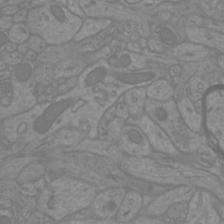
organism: Mouse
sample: Cortical neurons